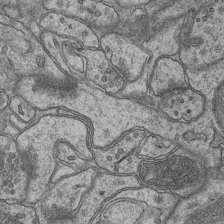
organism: Mouse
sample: CA1 Hippocampus